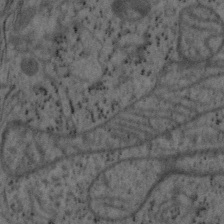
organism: Human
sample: HeLa cells